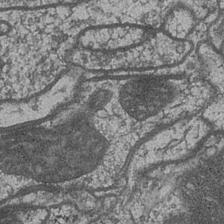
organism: Drosophila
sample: Optic medulla